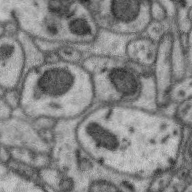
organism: Zebra finch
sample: Brain